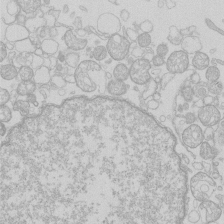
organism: Human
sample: Macrophage cells